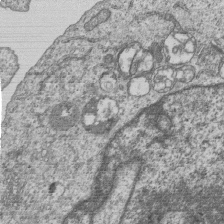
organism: Human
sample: MDA-MB-231 cells